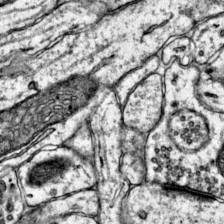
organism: Mouse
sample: Primary visual cortex